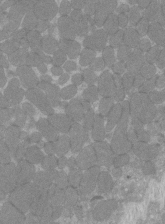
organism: C57BL Mouse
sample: Tibialis anterior muscle cell